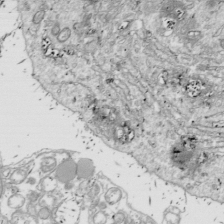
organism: Drosophila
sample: Cell division; meiosis; drosophila spermatocytes